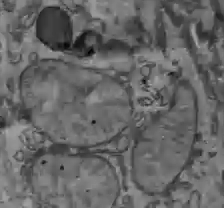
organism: C57BL Mouse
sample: Liver